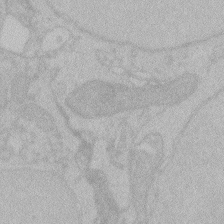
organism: Zebrafish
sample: Macrophage infected with Toxoplasma gondii